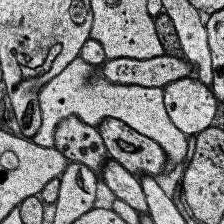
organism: Human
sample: Temporal Lobe